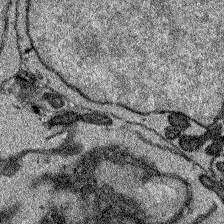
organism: Zebrafish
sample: Larval olfactory bulb